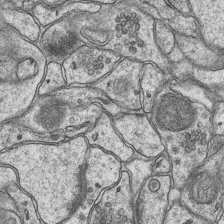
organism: Mouse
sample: CA1 Hippocampus